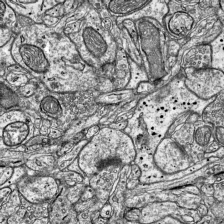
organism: Mouse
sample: Visual Cortex